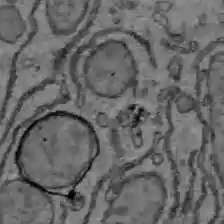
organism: C57BL Mouse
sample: Liver